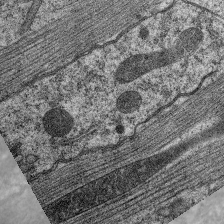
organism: C. elegans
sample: Pharynx